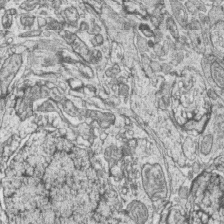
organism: Zebrafish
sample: synaptic ribbons in rod cells and cone cells